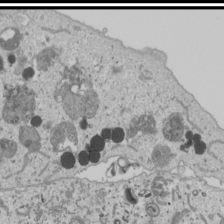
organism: Human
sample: Mitochondria in U2OS cells